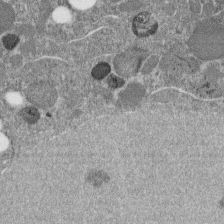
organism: C. elegans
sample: C. elegans embryo early stage